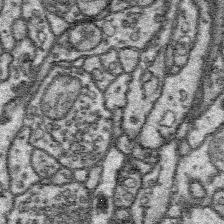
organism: Platynereis dumerilii